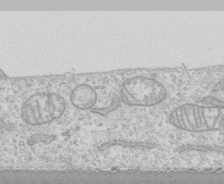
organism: Human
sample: CRL-1474